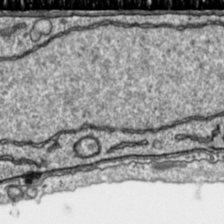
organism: Toxoplasma gondii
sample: Parasites in a vacuole inside a host cell